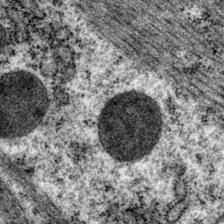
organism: P. pacificus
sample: Pharynx